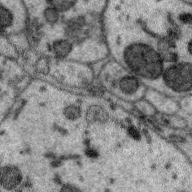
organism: Zebra finch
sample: Brain